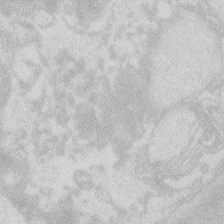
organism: Zebrafish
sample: Macrophage